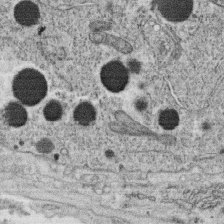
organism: C. elegans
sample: C. elegans oocyte; sperm cells